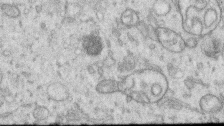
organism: Human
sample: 1205lu cells